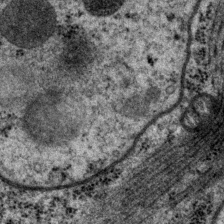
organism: P. pacificus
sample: Pharynx